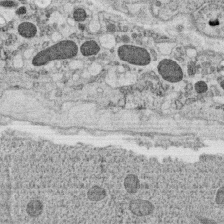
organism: C. elegans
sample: C. elegans oocyte; sperm cells